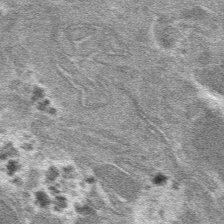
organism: Mouse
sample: Mouse hepatocytes